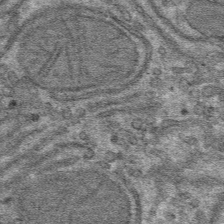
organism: Mouse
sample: Mouse hepatocytes